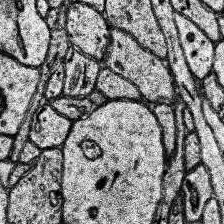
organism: Human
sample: Temporal Lobe